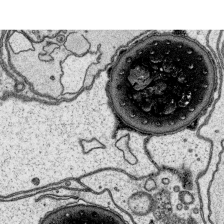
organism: Platynereis dumerilii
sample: Parapodia